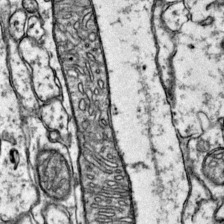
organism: Mouse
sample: Primary visual cortex